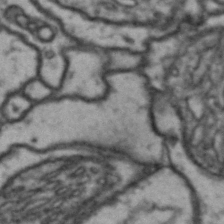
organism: Drosophila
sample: Brain